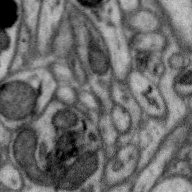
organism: Zebra finch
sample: Brain